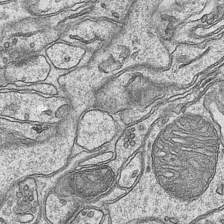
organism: Mouse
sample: CA1 Hippocampus